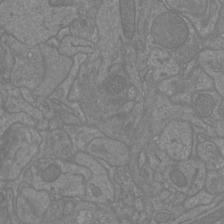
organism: Mouse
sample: Cortical neurons